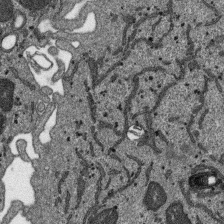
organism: Human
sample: Lung epithelial cells infected with SARS-CoV-2